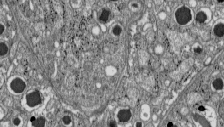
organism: C57BL Mouse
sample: Pancreatic islet